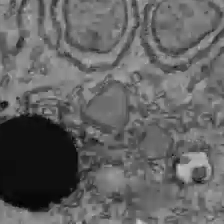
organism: C57BL Mouse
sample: Liver